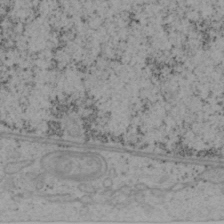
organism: Human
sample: HeLa cells